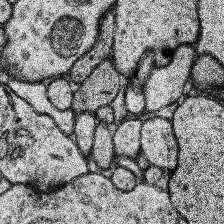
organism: Human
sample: Temporal Lobe